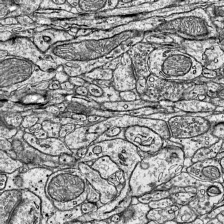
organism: Mouse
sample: Visual Cortex